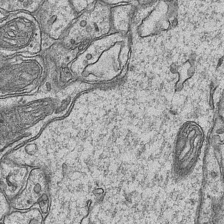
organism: Mouse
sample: CA1 Hippocampus